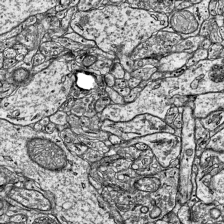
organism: Mouse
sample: Visual Cortex